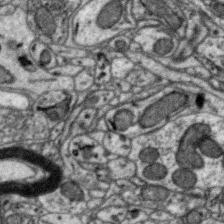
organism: Zebra finch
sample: Brain